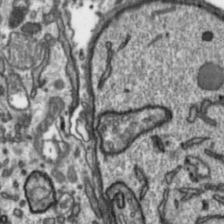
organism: Toxoplasma gondii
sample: Parasites in a vacuole inside a host cell